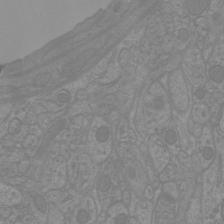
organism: Mouse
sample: Cortical neurons